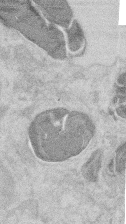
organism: Mouse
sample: T cell stromal cell synapse